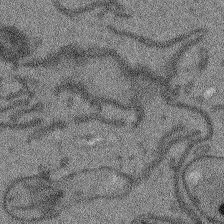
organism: Arabidopsis thaliana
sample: Root tip